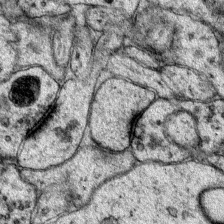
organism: Mouse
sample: Primary visual cortex